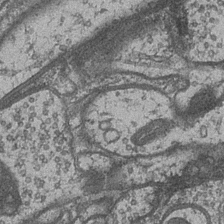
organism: Drosophila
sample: Optic medulla